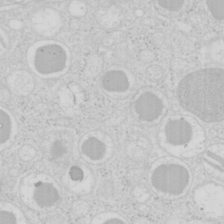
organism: Mouse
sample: Pancreas